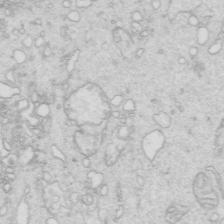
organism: Mouse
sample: Multiciliated cells